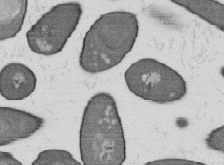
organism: B. subtilis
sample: Bacterial spore